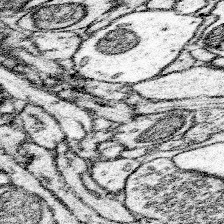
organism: Mouse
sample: Somatosensory cortex neuropil